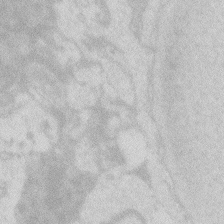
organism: Zebrafish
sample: Macrophage